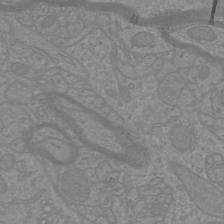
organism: Mouse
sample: Cortical neurons